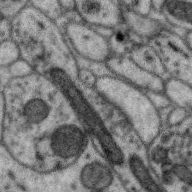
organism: Zebra finch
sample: Brain